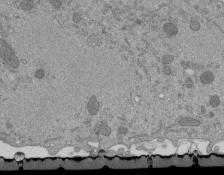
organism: Mouse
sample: ED-1 cell nuclei; centrioles